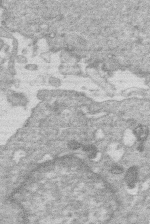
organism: Human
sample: Macrophage cells